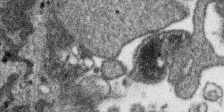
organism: Human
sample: Lung epithelial cells infected with SARS-CoV-2